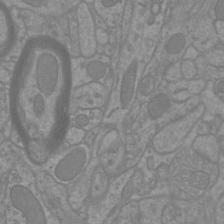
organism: Mouse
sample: Cortical neurons